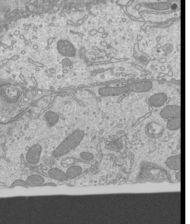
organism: Mouse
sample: Cilia; mouse epididymis